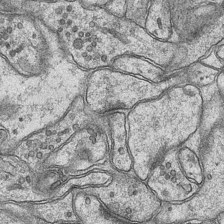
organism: Mouse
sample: CA1 Hippocampus